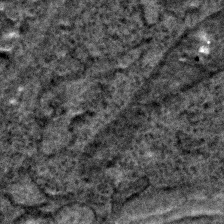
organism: C. elegans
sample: C. elegans embryo